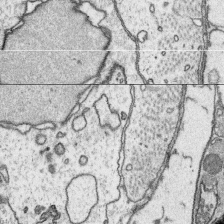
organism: Platynereis dumerilii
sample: Parapodia